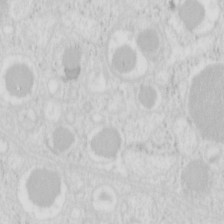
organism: Mouse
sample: Pancreas